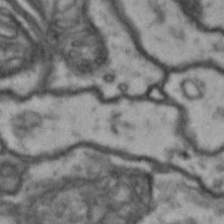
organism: Drosophila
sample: Brain